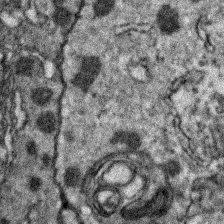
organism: Zebrafish